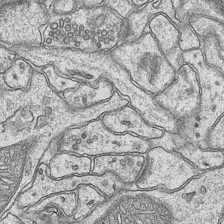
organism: Mouse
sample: CA1 Hippocampus